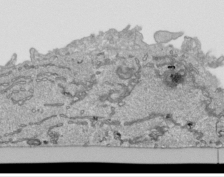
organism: Human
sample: Mitochondria in HCT116 cells